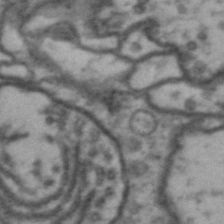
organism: Drosophila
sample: Brain